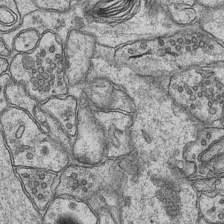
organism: Mouse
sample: CA1 Hippocampus